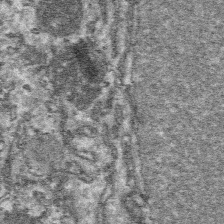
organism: Platynereis dumerilii